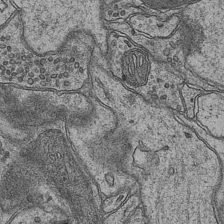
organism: Mouse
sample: CA1 Hippocampus